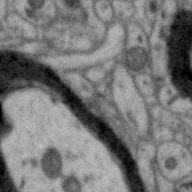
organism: Zebra finch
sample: Brain